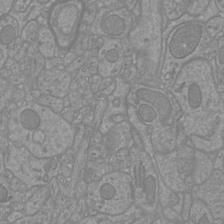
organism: Mouse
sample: Cortical neurons